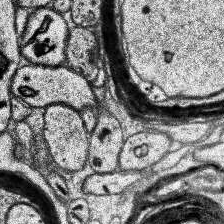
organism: Human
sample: Temporal Lobe